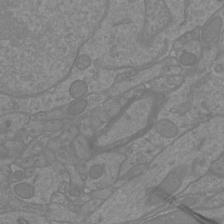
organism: Mouse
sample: Cortical neurons